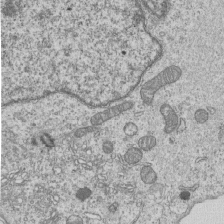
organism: Human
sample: MDA-MB-231 cells